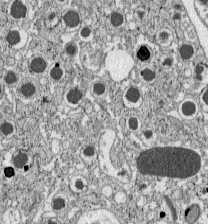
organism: C57BL Mouse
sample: Pancreatic islet